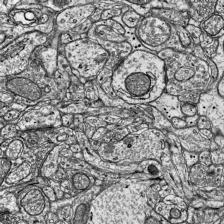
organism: Mouse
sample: Visual Cortex